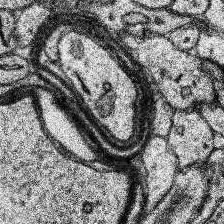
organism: Human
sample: Temporal Lobe